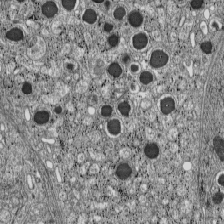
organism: C57BL Mouse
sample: Pancreatic islet